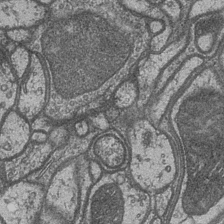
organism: Drosophila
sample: Optic medulla